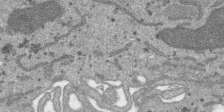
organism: Human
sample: Lung epithelial cells infected with SARS-CoV-2